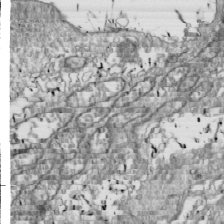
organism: Drosophila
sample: Cell division; meiosis; drosophila spermatocytes